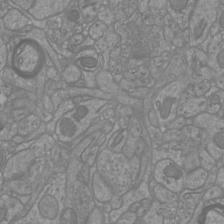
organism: Mouse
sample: Cortical neurons